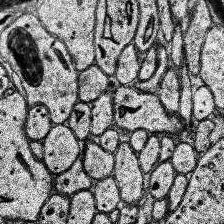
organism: Human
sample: Temporal Lobe